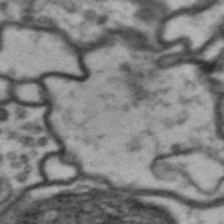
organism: Drosophila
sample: Brain